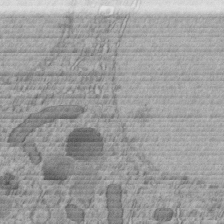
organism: C. elegans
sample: C. elegans embryo early stage